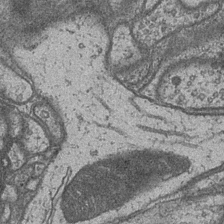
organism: Drosophila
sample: Optic medulla